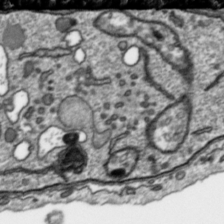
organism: Toxoplasma gondii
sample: Parasites in a vacuole inside a host cell